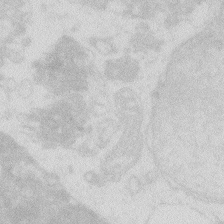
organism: Zebrafish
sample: Macrophage